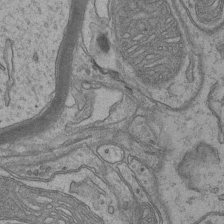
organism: Mouse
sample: CA1 Hippocampus